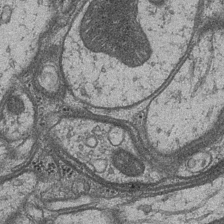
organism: Drosophila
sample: Optic medulla